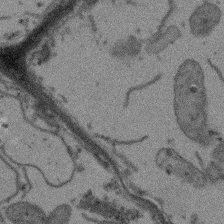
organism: Arabidopsis thaliana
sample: Root tip